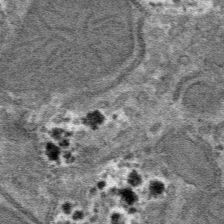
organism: Mouse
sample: Mouse hepatocytes